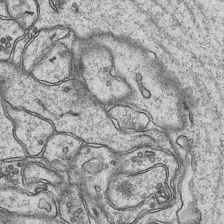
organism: Mouse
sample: CA1 Hippocampus